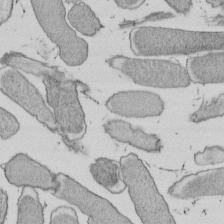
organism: E. coli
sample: Bacterial nucleoid